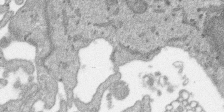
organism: Human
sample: Lung epithelial cells infected with SARS-CoV-2